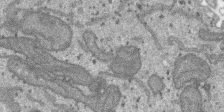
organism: Human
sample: Lung epithelial cells infected with SARS-CoV-2